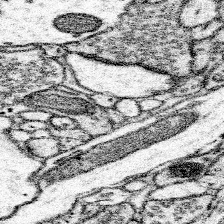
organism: Mouse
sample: Somatosensory cortex neuropil